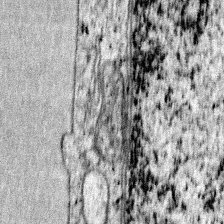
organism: Human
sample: HeLa cells